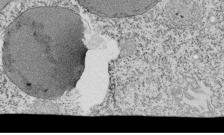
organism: Tetrahymena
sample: Cilia in tetrahymena